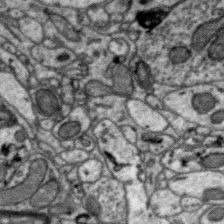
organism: Zebra finch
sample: Brain